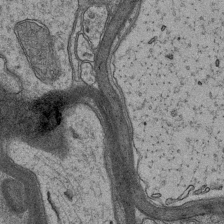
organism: Mouse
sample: CA1 Hippocampus